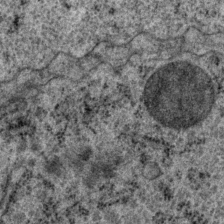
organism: P. pacificus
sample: Pharynx